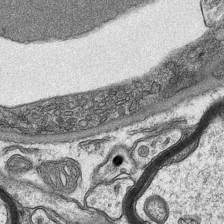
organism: Mouse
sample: CA1 Hippocampus